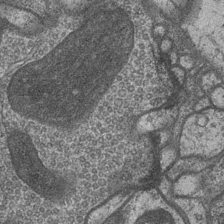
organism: Drosophila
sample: Optic medulla